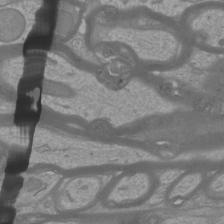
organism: Mouse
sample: Cortical neurons